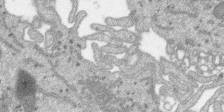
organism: Human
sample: Lung epithelial cells infected with SARS-CoV-2